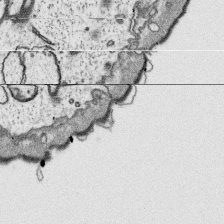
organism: Platynereis dumerilii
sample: Parapodia